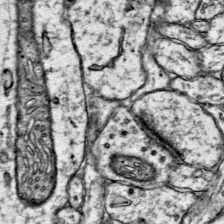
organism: Mouse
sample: Primary visual cortex